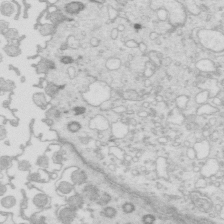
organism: Mouse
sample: Multiciliated cells